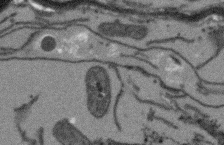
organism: Arabidopsis thaliana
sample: Root tip